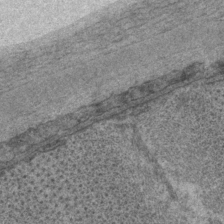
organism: P. pacificus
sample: Pharynx